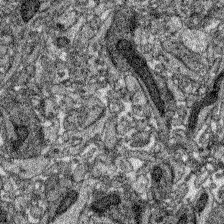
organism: Zebrafish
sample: Larval olfactory bulb